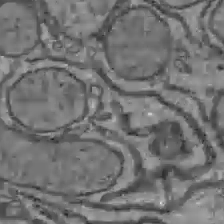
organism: C57BL Mouse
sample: Liver